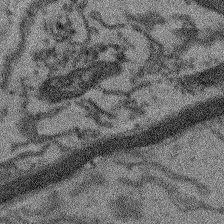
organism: Arabidopsis thaliana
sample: Root tip